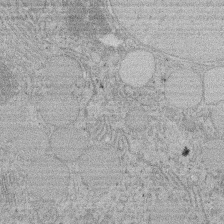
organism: Rat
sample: Salivary granule